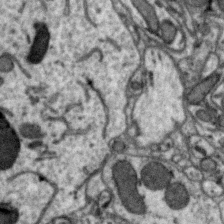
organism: Zebra finch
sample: Brain